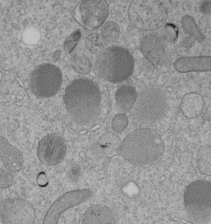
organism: C. elegans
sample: C. elegans embryo early stage